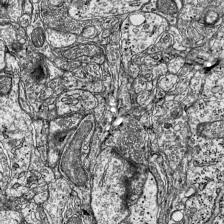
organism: Mouse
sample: Visual Cortex